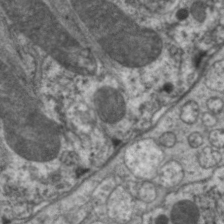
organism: C. elegans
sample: Pharynx